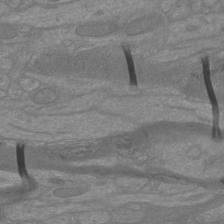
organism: Mouse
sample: Cortical neurons